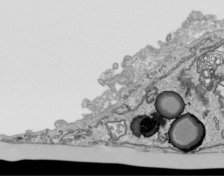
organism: Human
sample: Mitochondria in HCT116 cells